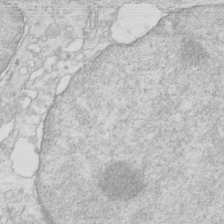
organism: Mouse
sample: Multiciliated cells